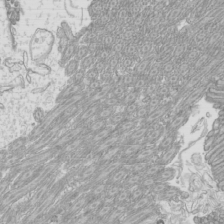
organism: Mouse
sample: Cilia; mouse epididymis